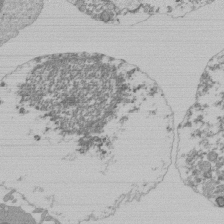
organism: Mouse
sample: Activated Pmel transgenic CD8+ T Cells